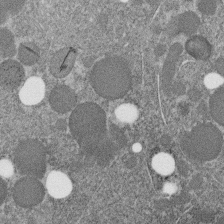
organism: C. elegans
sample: C. elegans embryo early stage